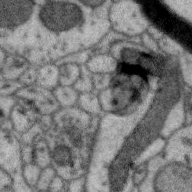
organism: Zebra finch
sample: Brain